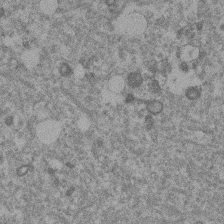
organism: Mouse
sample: Dividing mouse embryo 1 cell stage